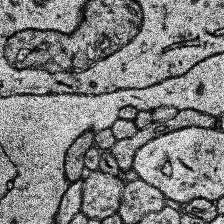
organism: Human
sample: Temporal Lobe